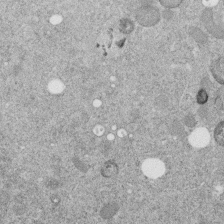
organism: C. elegans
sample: C. elegans embryo early stage